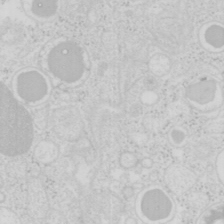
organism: Mouse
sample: Pancreas